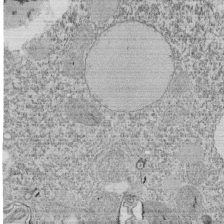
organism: Tetrahymena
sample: Cilia in tetrahymena